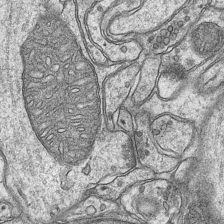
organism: Mouse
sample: CA1 Hippocampus